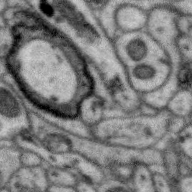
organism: Zebra finch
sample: Brain